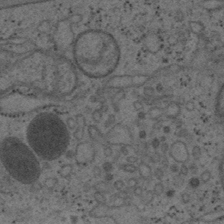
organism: Human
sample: HeLa cells